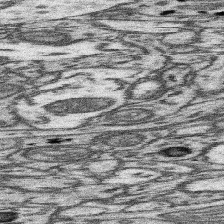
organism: Mouse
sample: Somatosensory cortex neuropil